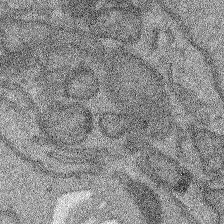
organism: Human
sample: HeLa cells